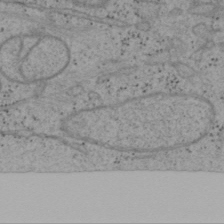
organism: Human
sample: HeLa cells